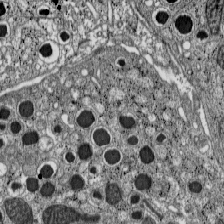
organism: C57BL Mouse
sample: Pancreatic islet